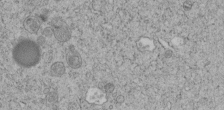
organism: C. elegans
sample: C. elegans embryo early stage